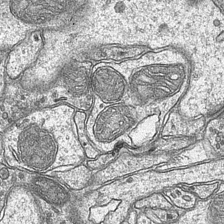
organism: Mouse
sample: CA1 Hippocampus